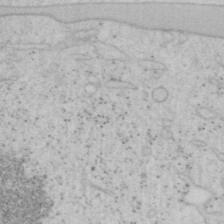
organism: Human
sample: HeLa cells